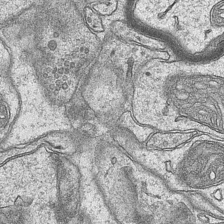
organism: Mouse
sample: CA1 Hippocampus